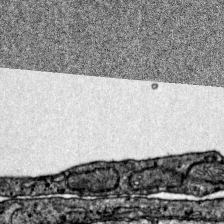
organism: Mouse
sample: Primary visual cortex